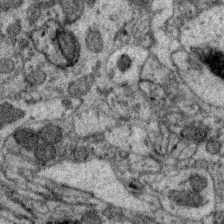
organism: Zebra finch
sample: Brain